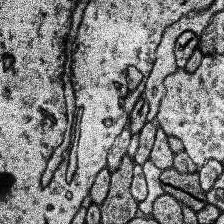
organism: Human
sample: Temporal Lobe